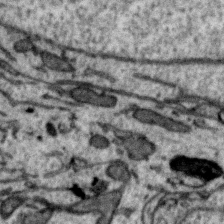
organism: Zebra finch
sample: Brain